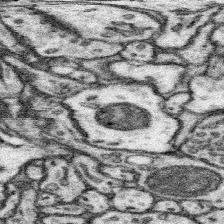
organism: Mouse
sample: Somatosensory cortex neuropil